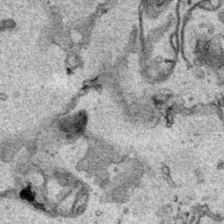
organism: Human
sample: Mitochondria in HCT116 cells